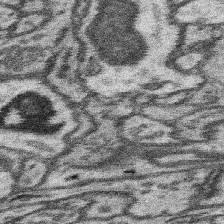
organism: Mouse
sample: Somatosensory cortex neuropil